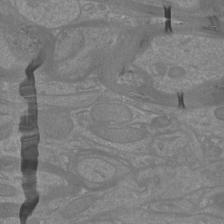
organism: Mouse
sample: Cortical neurons